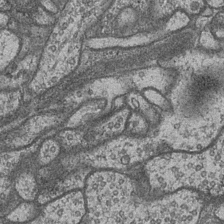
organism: Drosophila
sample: Optic medulla